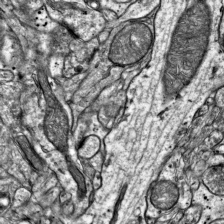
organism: Mouse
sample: Visual Cortex